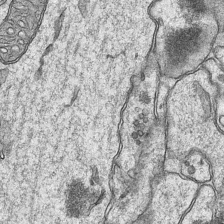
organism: Mouse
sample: CA1 Hippocampus